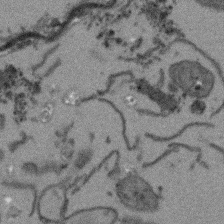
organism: Arabidopsis thaliana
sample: Root tip